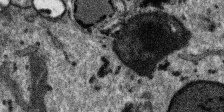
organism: Human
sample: Lung epithelial cells infected with SARS-CoV-2